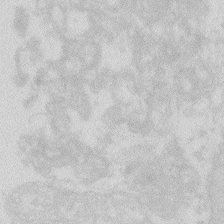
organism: Zebrafish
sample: Macrophage